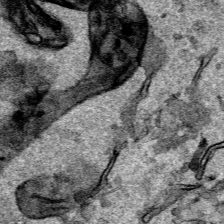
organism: Human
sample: Mitochondria in HCT116 cells